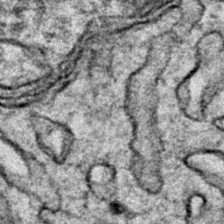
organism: Zebrafish